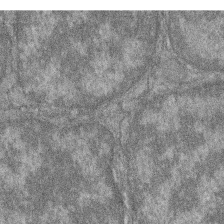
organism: Zebrafish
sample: Cilia; retinal pigment epithelium